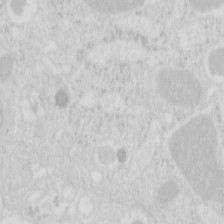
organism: Mouse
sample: Pancreas